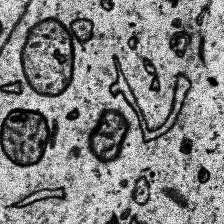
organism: Human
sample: Temporal Lobe